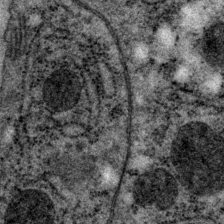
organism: P. pacificus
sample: Pharynx